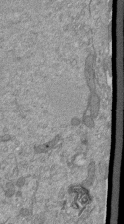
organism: Mouse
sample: ED-1 cell nuclei; centrioles